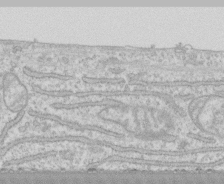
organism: Human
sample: CRL-1474